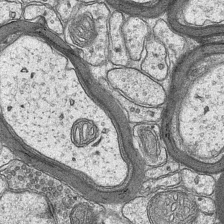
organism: Mouse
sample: CA1 Hippocampus